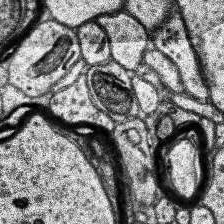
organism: Human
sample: Temporal Lobe